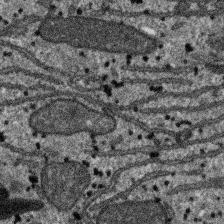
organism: Human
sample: Lung epithelial cells infected with SARS-CoV-2